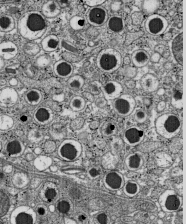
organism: C57BL Mouse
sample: Pancreatic islet